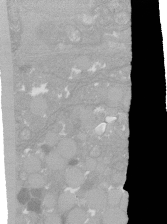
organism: C. elegans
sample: C. elegans oocyte; sperm cells